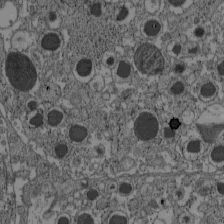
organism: C57BL Mouse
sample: Pancreatic islet